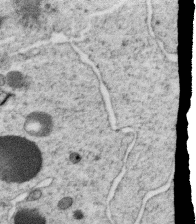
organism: C. elegans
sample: C. elegans oocyte; sperm cells